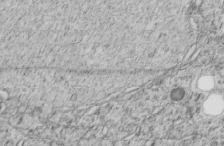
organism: C. elegans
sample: C. elegans embryo early stage